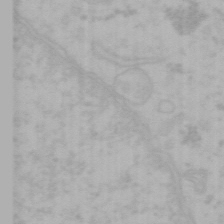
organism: Mouse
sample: Choroid plexus